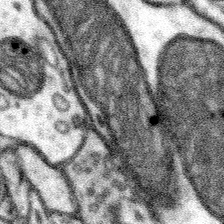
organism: Mouse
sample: Somatosensory cortex neuropil